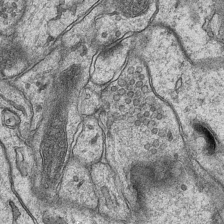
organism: Mouse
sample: CA1 Hippocampus